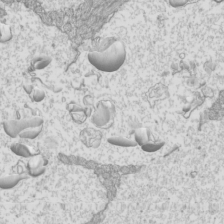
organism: Mouse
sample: Cilia; mouse epididymis